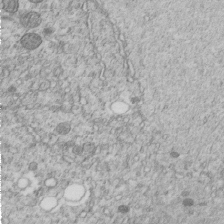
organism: C. elegans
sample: C. elegans embryo early stage